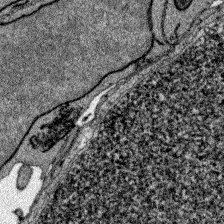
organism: Zebrafish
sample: Larval olfactory bulb